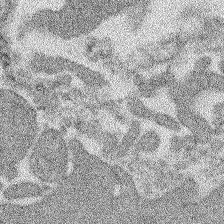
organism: Human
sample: HeLa cells